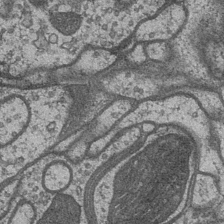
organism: Drosophila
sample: Optic medulla